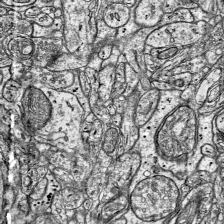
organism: Mouse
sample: Visual Cortex